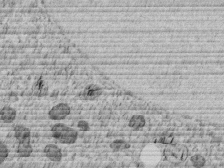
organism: C. elegans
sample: C. elegans embryo early stage